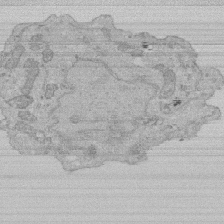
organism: Human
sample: Activated Jurkat CD4+ T cells